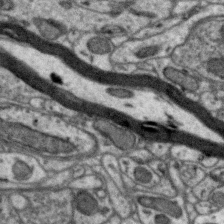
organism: Zebra finch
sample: Brain